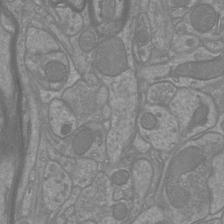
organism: Mouse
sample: Cortical neurons